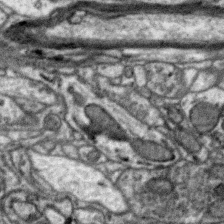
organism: Zebra finch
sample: Brain